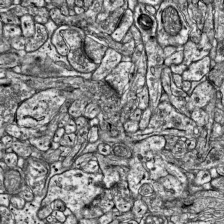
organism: Mouse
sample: Visual Cortex